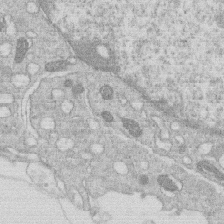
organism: Human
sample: Macrophage cells